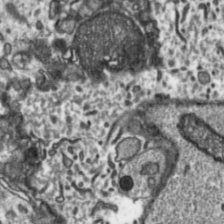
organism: Toxoplasma gondii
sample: Parasites in a vacuole inside a host cell